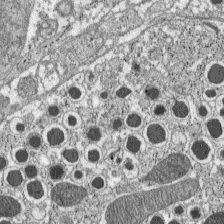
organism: C57BL Mouse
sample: Pancreatic islet